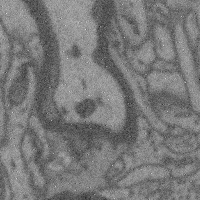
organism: Mouse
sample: Cerebral cortex